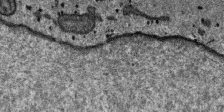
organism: Human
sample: Lung epithelial cells, uninfected (mock) control